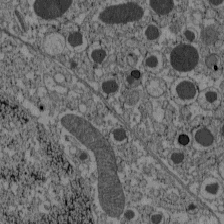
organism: C57BL Mouse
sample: Pancreatic islet